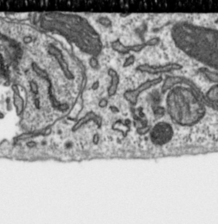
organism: Toxoplasma gondii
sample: Parasites in a vacuole inside a host cell